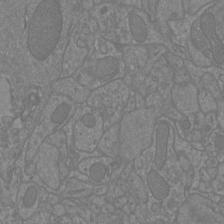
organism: Mouse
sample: Cortical neurons